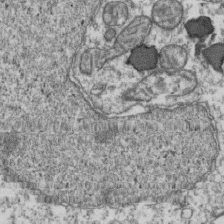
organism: Human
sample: Activated Jurkat CD4+ T cells